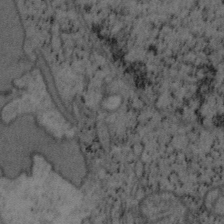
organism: Human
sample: HeLa cells